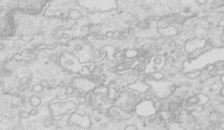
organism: Mouse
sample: Multiciliated cells